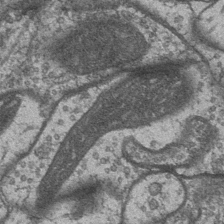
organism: Drosophila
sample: Optic medulla